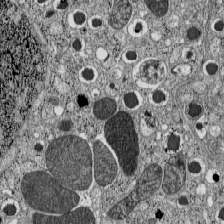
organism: C57BL Mouse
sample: Pancreatic islet